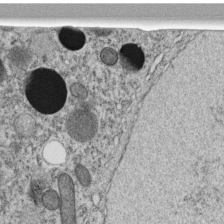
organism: C. elegans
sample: C. elegans embryo early stage